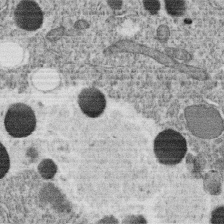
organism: C. elegans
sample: C. elegans oocyte; sperm cells